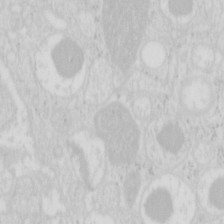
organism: Mouse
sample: Pancreas